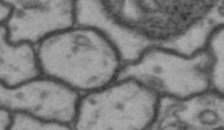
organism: Drosophila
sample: Brain